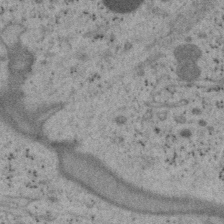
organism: Human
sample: HeLa cells